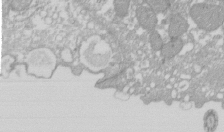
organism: Xenopus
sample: Cilia; centrioles in frog embryo cells